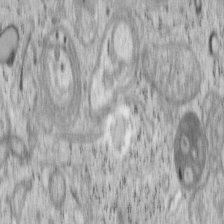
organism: Human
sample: HeLa cells